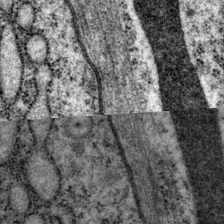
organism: P. pacificus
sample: Pharynx